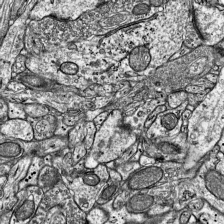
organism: Mouse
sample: Visual Cortex